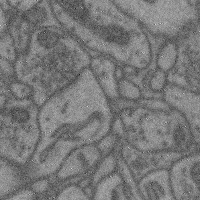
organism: Mouse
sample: Cerebral cortex